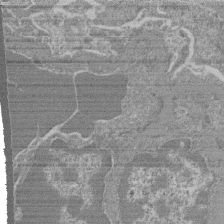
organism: Mouse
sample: Glomerulus